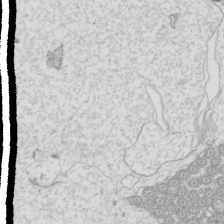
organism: Mouse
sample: Cilia; mouse epididymis